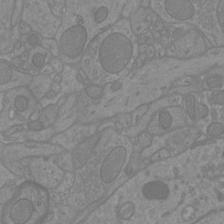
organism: Mouse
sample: Cortical neurons